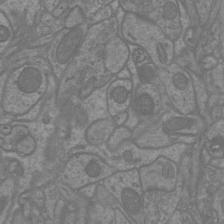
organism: Mouse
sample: Cortical neurons